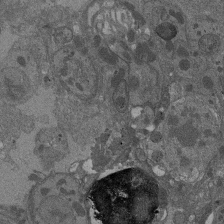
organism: Drosophila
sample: Antenna